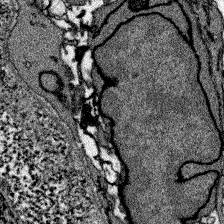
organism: Zebrafish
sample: Larval olfactory bulb